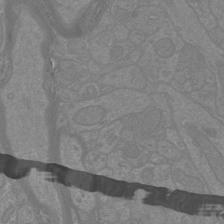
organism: Mouse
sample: Cortical neurons